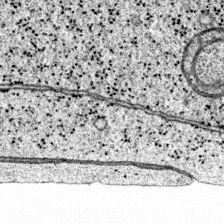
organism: Human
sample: HeLa cells